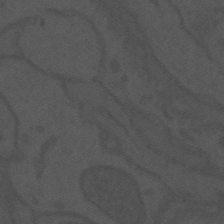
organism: Mouse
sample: Suprachiasmatic nucleus